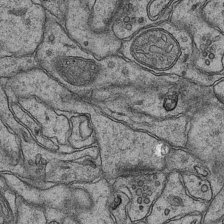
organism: Mouse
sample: CA1 Hippocampus